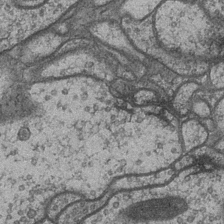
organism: Drosophila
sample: Optic medulla